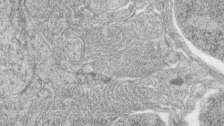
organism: Zebrafish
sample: synaptic ribbons in rod cells and cone cells